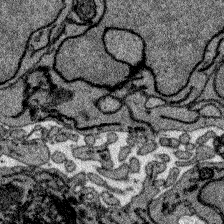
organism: Zebrafish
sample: Larval olfactory bulb